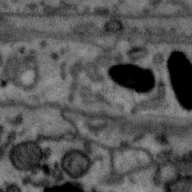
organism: Zebra finch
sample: Brain